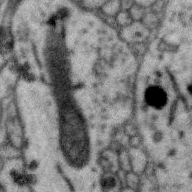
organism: Zebra finch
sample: Brain